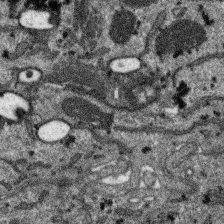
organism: Human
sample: Lung epithelial cells infected with SARS-CoV-2